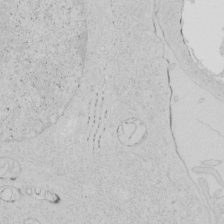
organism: Human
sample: Mitochondria in HCT116 cells